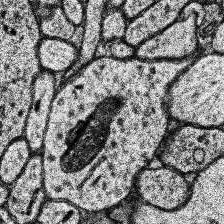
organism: Human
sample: Temporal Lobe